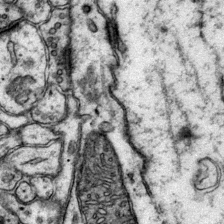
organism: Mouse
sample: Primary visual cortex